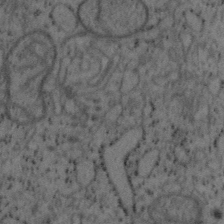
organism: Human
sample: HeLa cells